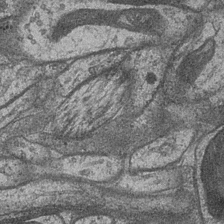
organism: Drosophila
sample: Optic medulla